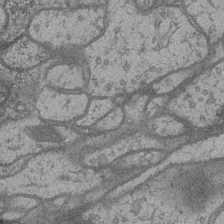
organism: Drosophila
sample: Optic medulla